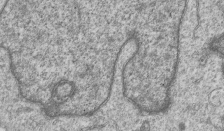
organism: Human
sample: MDA-MB-231 cells